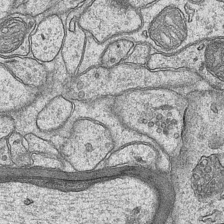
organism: Mouse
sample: CA1 Hippocampus